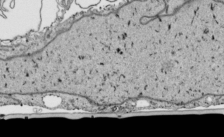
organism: Human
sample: Mitochondria in HCT116 cells